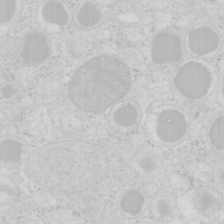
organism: Mouse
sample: Pancreas